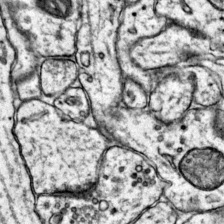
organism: Mouse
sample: Primary visual cortex